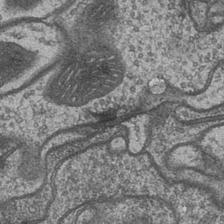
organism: Drosophila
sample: Optic medulla